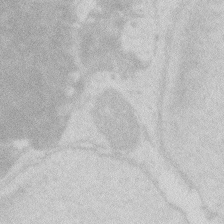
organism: Zebrafish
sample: Macrophage